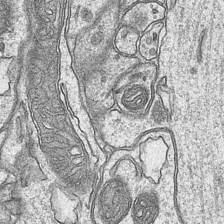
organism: Mouse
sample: CA1 Hippocampus